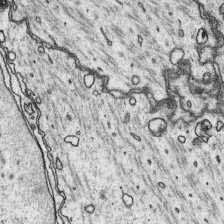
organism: Platynereis dumerilii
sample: Parapodia